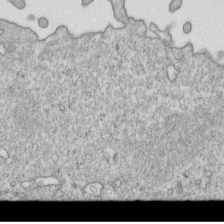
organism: Mouse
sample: Activated OT-1 CD8+ T cells